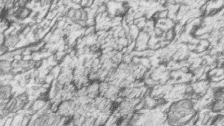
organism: Zebrafish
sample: synaptic ribbons in rod cells and cone cells